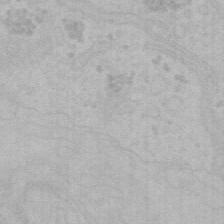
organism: Mouse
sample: Choroid plexus